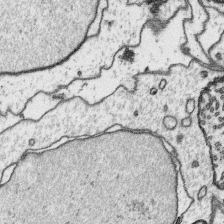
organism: Platynereis dumerilii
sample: Parapodia